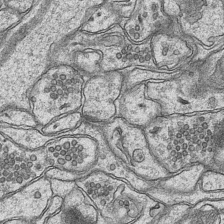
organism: Mouse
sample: CA1 Hippocampus